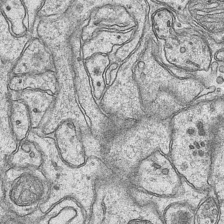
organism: Mouse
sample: CA1 Hippocampus